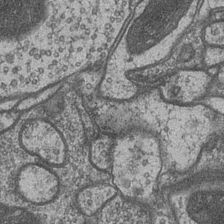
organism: Drosophila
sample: Optic medulla